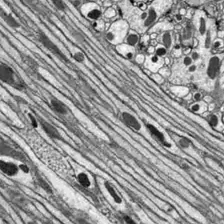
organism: Drosophila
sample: Optic lobe